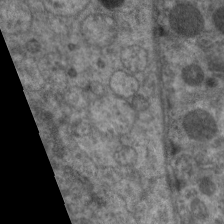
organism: C. elegans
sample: Pharynx